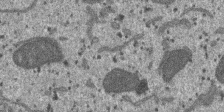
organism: Human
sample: Lung epithelial cells infected with SARS-CoV-2